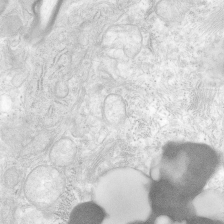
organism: Human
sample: Neocortex